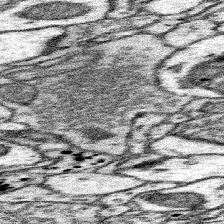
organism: Mouse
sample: Somatosensory cortex neuropil